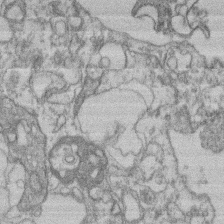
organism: Mouse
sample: T cell stromal cell synapse